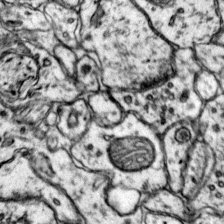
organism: Mouse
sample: Primary visual cortex